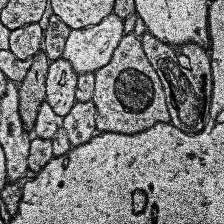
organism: Human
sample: Temporal Lobe